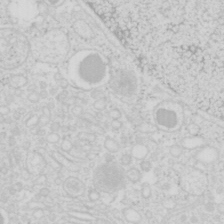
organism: Mouse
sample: Pancreas